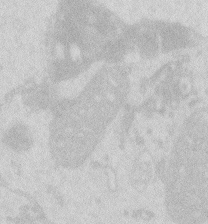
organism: Zebrafish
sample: Macrophage